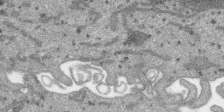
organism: Human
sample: Lung epithelial cells infected with SARS-CoV-2